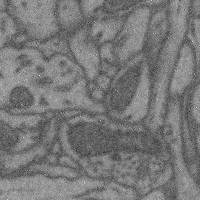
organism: Mouse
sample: Cerebral cortex